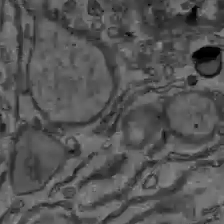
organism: C57BL Mouse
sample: Liver